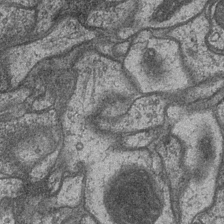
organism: Drosophila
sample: Optic medulla